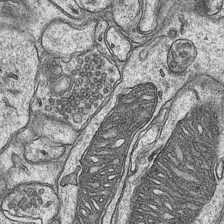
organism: Mouse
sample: CA1 Hippocampus